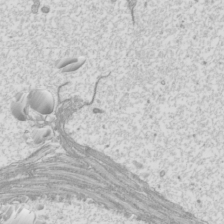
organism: Mouse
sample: Cilia; mouse epididymis